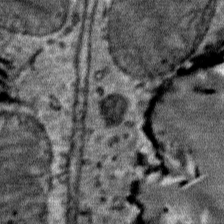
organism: Mouse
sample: Mouse Salivary gland